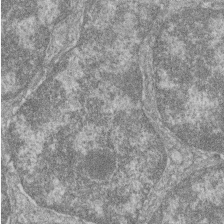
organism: Zebrafish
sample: Cilia; retinal pigment epithelium